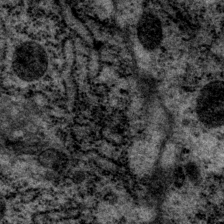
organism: P. pacificus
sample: Pharynx